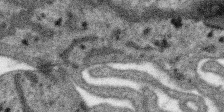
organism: Human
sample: Lung epithelial cells infected with SARS-CoV-2